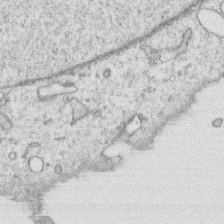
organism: Human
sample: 1205lu cells